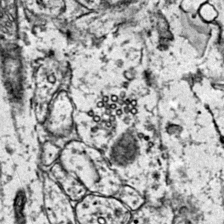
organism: Mouse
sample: Primary visual cortex